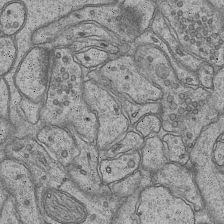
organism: Mouse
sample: CA1 Hippocampus